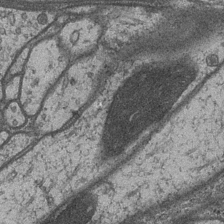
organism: Drosophila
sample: Optic medulla